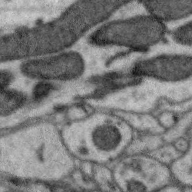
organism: Zebra finch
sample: Brain